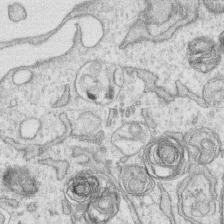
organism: Human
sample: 1205lu cells